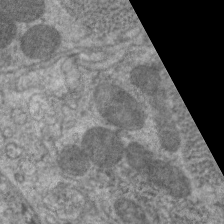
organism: C. elegans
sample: Pharynx